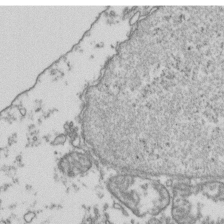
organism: Human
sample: Activated Jurkat CD4+ T cells